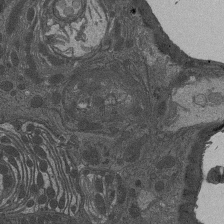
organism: Drosophila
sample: Antenna